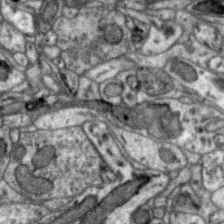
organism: Zebra finch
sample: Brain